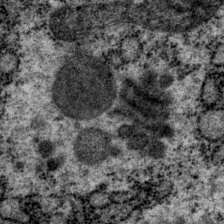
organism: P. pacificus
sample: Pharynx